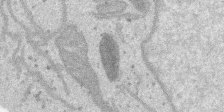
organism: Human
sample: Lung epithelial cells infected with SARS-CoV-2